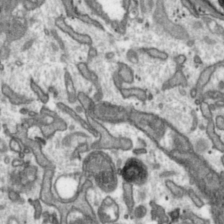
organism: Toxoplasma gondii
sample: Parasites in a vacuole inside a host cell